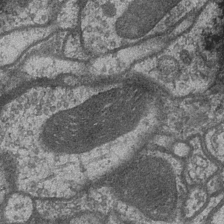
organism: Drosophila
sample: Optic medulla